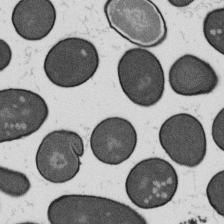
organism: B. subtilis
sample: Bacterial spore